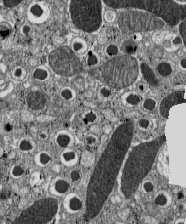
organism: C57BL Mouse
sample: Pancreatic islet